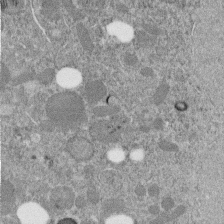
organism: C. elegans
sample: C. elegans embryo early stage